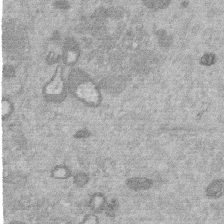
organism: Mouse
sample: Dividing mouse embryo 1 cell stage